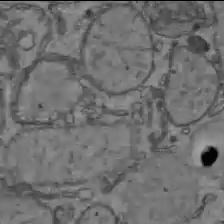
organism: C57BL Mouse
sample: Liver